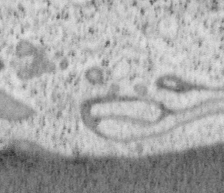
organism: Mouse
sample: OT-I killer T cells with ID8 ovarian cancer cells